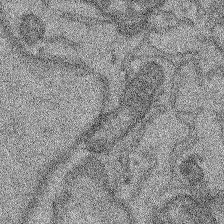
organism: Human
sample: HeLa cells